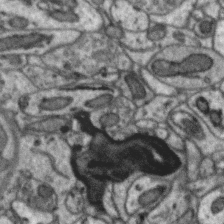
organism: Zebra finch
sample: Brain